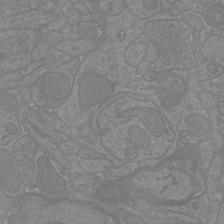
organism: Mouse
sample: Cortical neurons